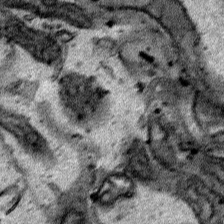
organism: Human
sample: Mitochondria in HCT116 cells